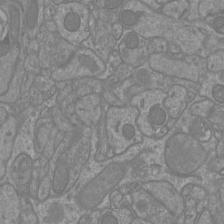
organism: Mouse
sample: Cortical neurons